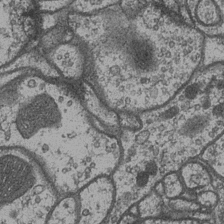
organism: Drosophila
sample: Optic medulla